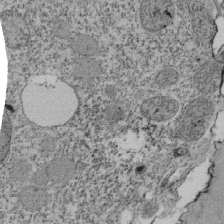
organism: Tetrahymena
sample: Cilia in tetrahymena